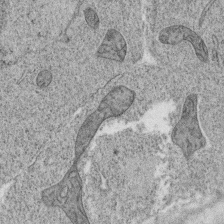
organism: C. elegans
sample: C. elegans oocyte; sperm cells